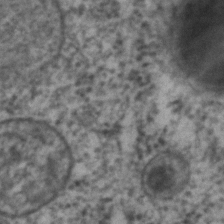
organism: C. elegans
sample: C. elegans embryo